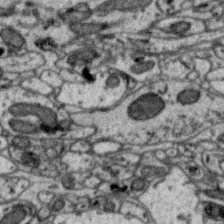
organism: Zebra finch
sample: Brain